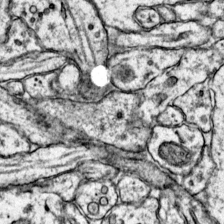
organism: Mouse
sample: Primary visual cortex